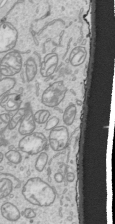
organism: Human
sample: Mitochondria in HCT116 cells